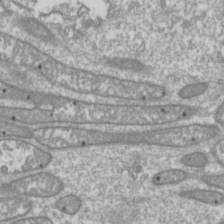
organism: Drosophila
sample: Cell division; meiosis; drosophila spermatocytes